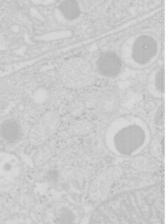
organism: Mouse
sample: Pancreas